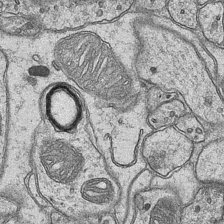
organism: Mouse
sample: CA1 Hippocampus